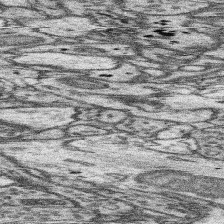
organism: Mouse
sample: Somatosensory cortex neuropil